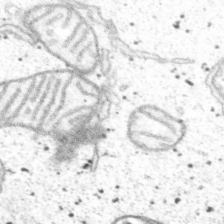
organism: Human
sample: HeLa cells